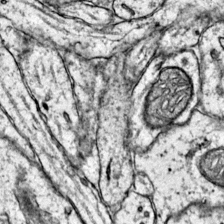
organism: Mouse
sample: Primary visual cortex